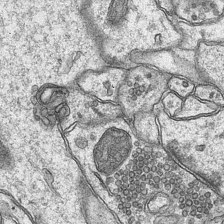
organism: Mouse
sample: CA1 Hippocampus